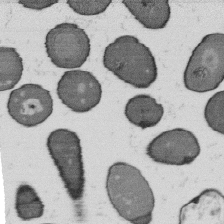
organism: B. subtilis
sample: Bacterial spore